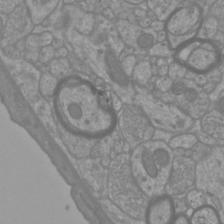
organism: Mouse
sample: Cortical neurons